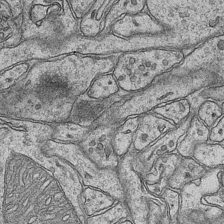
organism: Mouse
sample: CA1 Hippocampus